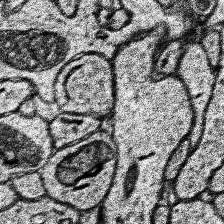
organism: Human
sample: Temporal Lobe